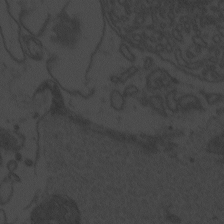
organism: Zebrafish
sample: Macrophage infected with Toxoplasma gondii